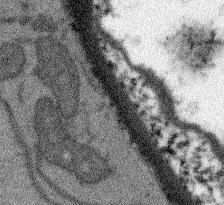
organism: Arabidopsis thaliana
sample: Root tip